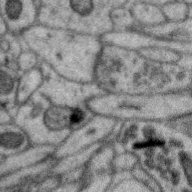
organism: Zebra finch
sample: Brain